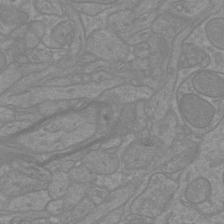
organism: Mouse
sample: Cortical neurons